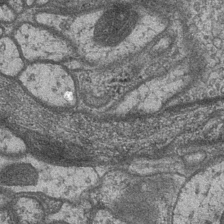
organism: Drosophila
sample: Optic medulla